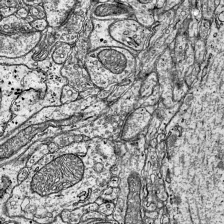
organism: Mouse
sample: Visual Cortex